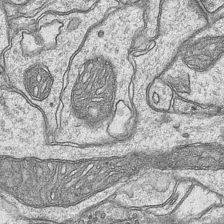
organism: Mouse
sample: CA1 Hippocampus